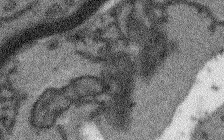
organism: Arabidopsis thaliana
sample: Root tip